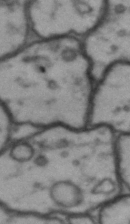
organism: Drosophila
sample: Brain